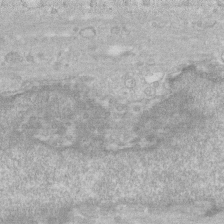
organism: Human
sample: Fibroblast cells